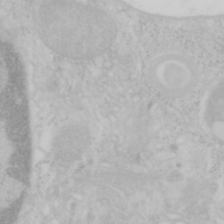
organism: Mouse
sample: OT-I killer T cells with ID8 ovarian cancer cells